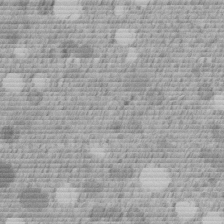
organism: C. elegans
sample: C. elegans embryo early stage